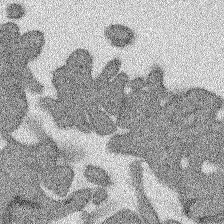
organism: Human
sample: HeLa cells